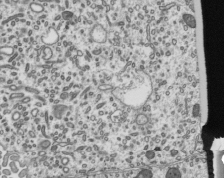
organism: Mouse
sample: Mouse epididymis efferent ductule cilia